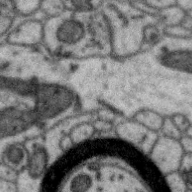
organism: Zebra finch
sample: Brain